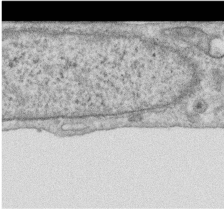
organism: Human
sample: Centriole in RPE cells